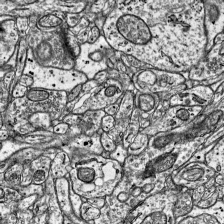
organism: Mouse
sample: Visual Cortex